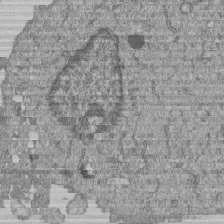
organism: Human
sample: MDA-MB-231 cells